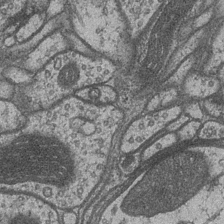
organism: Drosophila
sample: Optic medulla